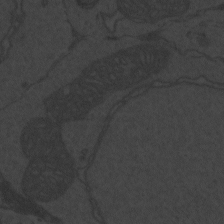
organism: Zebrafish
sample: Macrophage infected with Toxoplasma gondii